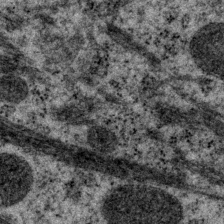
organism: P. pacificus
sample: Pharynx